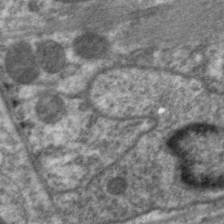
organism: C. elegans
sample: Pharynx